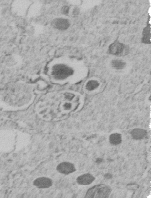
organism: C. elegans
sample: C. elegans embryo early stage